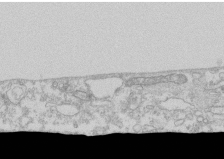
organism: Human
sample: CRL-1474